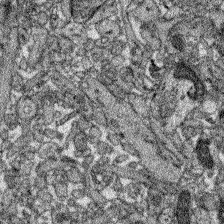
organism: Zebrafish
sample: Larval olfactory bulb